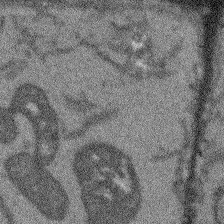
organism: Arabidopsis thaliana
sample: Root tip